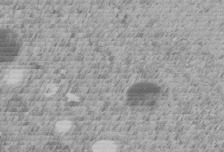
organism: C. elegans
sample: C. elegans embryo early stage